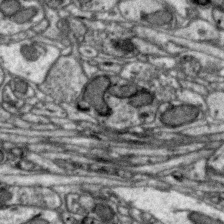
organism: Zebra finch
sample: Brain